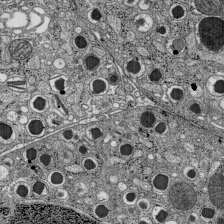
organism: C57BL Mouse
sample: Pancreatic islet